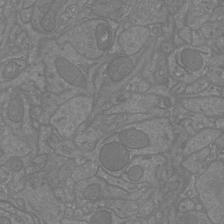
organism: Mouse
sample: Cortical neurons